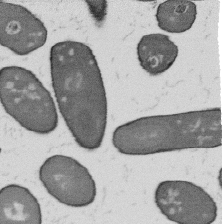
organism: B. subtilis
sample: Bacterial spore